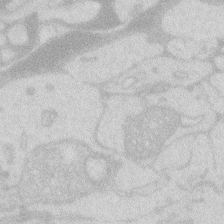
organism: Zebrafish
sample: Macrophage